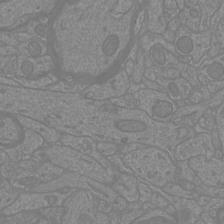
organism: Mouse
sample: Cortical neurons